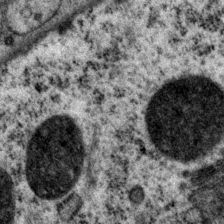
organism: P. pacificus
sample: Pharynx